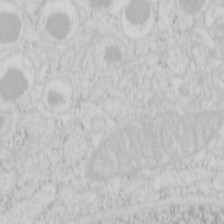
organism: Mouse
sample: Pancreas